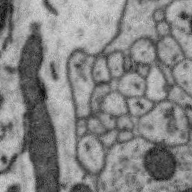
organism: Zebra finch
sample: Brain